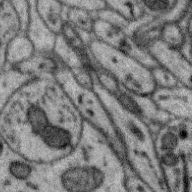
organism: Zebra finch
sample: Brain